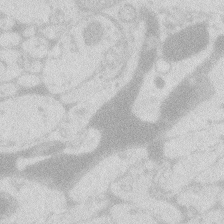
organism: Zebrafish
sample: Macrophage